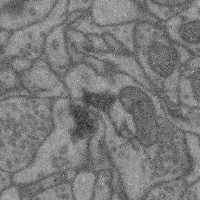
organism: Mouse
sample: Cerebral cortex